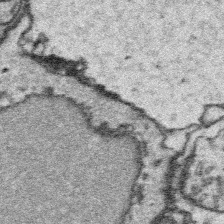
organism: Platynereis dumerilii